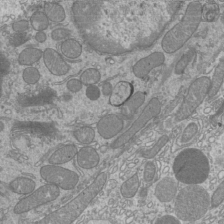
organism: Mouse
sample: Cilia; mouse epididymis